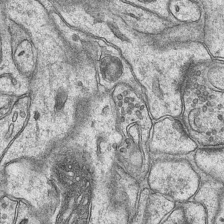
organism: Mouse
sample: CA1 Hippocampus